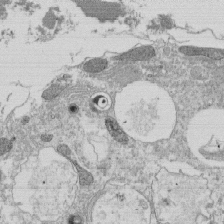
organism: Tetrahymena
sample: Cilia in tetrahymena